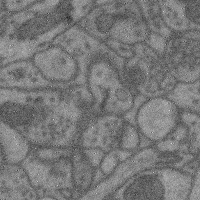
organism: Mouse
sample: Cerebral cortex